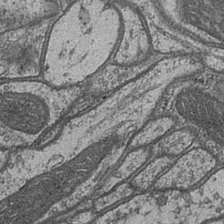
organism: Drosophila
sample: Optic medulla